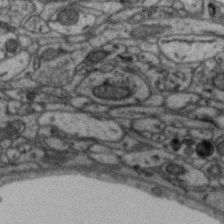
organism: Zebra finch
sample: Brain